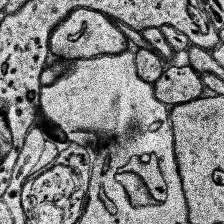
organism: Human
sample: Temporal Lobe